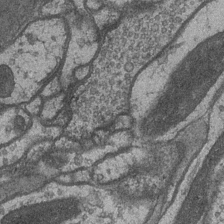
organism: Drosophila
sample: Optic medulla